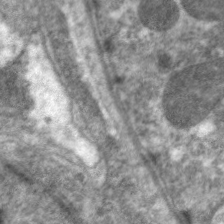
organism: C. elegans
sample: Pharynx